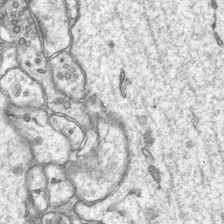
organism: Mouse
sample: CA1 Hippocampus